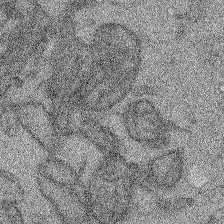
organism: Human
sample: HeLa cells